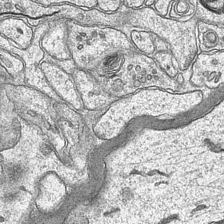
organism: Mouse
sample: CA1 Hippocampus